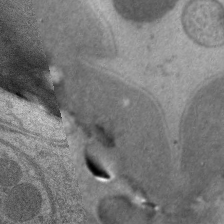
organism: C. elegans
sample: Pharynx